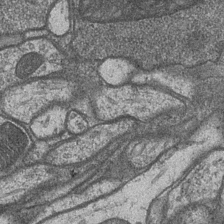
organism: Drosophila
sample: Optic medulla